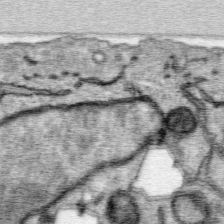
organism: Human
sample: HeLa cells